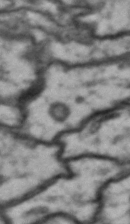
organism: Drosophila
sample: Brain